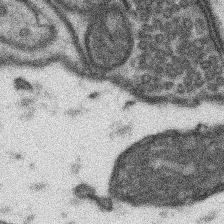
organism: Mouse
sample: Somatosensory cortex neuropil